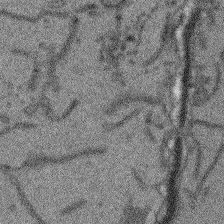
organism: Arabidopsis thaliana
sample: Root tip